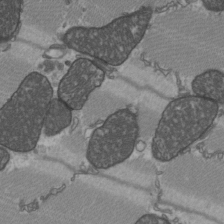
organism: C57BL Mouse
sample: Heart